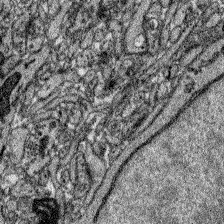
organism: Zebrafish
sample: Larval olfactory bulb